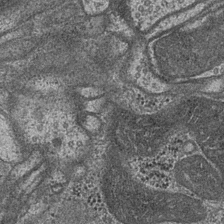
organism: Drosophila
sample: Optic medulla